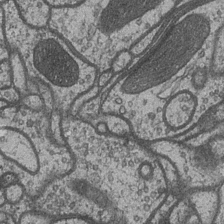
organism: Drosophila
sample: Optic medulla